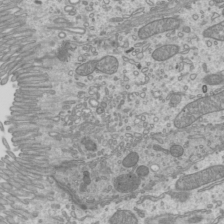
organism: Mouse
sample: Cilia; mouse epididymis